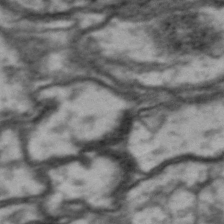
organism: Drosophila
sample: Brain